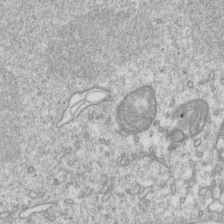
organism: Mouse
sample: Activated OT-1 CD8+ T cells